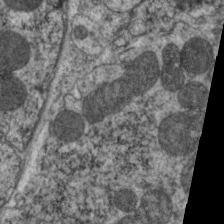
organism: C. elegans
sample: Pharynx